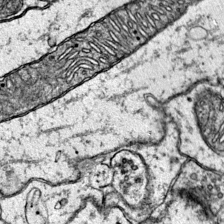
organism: Mouse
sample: Primary visual cortex